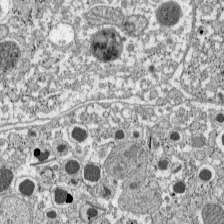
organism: C57BL Mouse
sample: Pancreatic islet